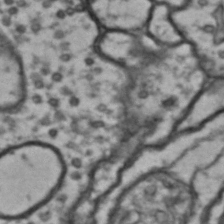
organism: Drosophila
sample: Brain